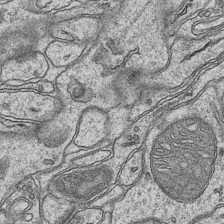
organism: Mouse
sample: CA1 Hippocampus